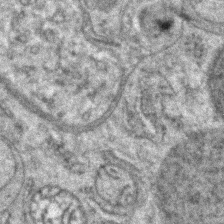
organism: Zebrafish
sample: Zebrafish embryo